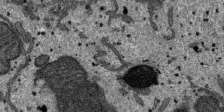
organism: Human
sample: Lung epithelial cells, uninfected (mock) control